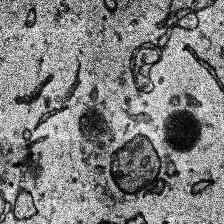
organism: Human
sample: Temporal Lobe